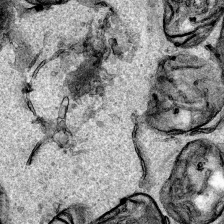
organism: Human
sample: Mitochondria in HCT116 cells